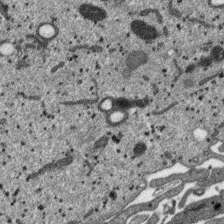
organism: Human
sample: Lung epithelial cells infected with SARS-CoV-2